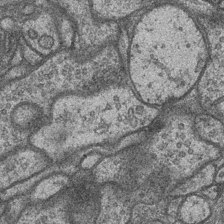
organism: Drosophila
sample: Optic medulla